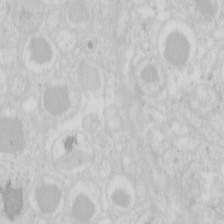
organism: Mouse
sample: Pancreas